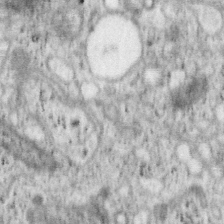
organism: Mouse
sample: OT-I killer T cells with ID8 ovarian cancer cells